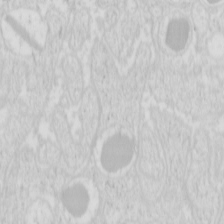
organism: Mouse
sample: Pancreas